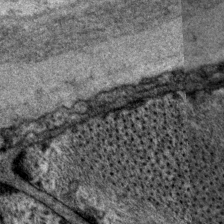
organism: P. pacificus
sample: Pharynx